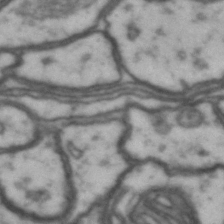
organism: Drosophila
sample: Brain